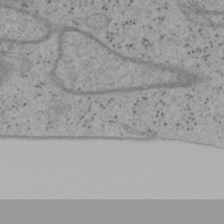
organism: Human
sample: HeLa cells